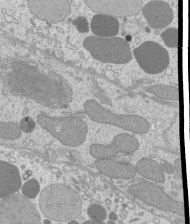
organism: Mouse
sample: Cilia; mouse epididymis